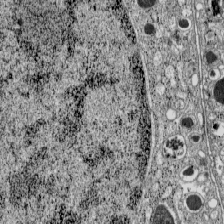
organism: C57BL Mouse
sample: Pancreatic islet